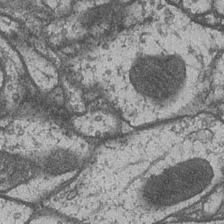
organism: Drosophila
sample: Optic medulla